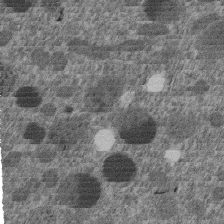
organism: C. elegans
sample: C. elegans embryo early stage